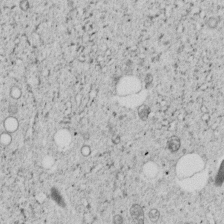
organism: C. elegans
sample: C. elegans embryo early stage